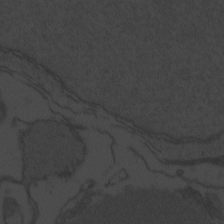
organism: Zebrafish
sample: Macrophage infected with Toxoplasma gondii